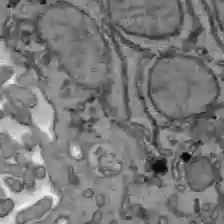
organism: C57BL Mouse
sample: Liver